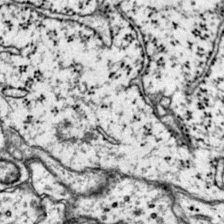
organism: Mouse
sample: Primary visual cortex